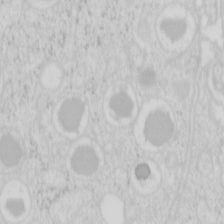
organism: Mouse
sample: Pancreas